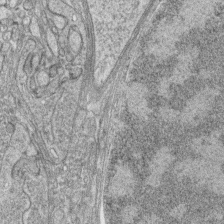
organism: Zebrafish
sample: synaptic ribbons in rod cells and cone cells